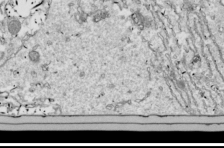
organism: Drosophila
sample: Cell division; meiosis; drosophila spermatocytes